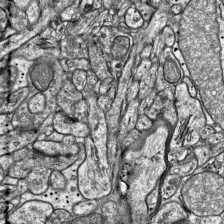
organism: Mouse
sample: Visual Cortex